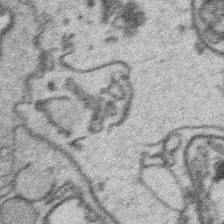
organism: Platynereis dumerilii